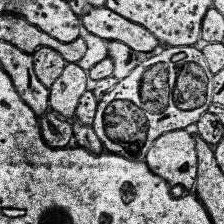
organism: Human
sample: Temporal Lobe